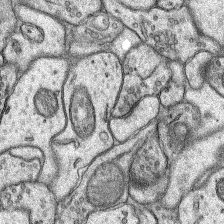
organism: Rat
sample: Hippocampus